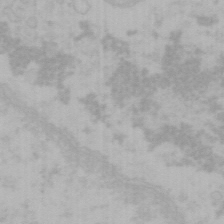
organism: Mouse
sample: Choroid plexus